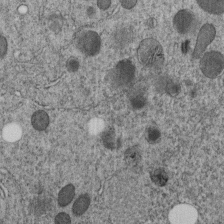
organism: C. elegans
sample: C. elegans embryo early stage